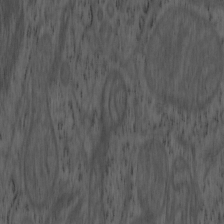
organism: Human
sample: HeLa cells